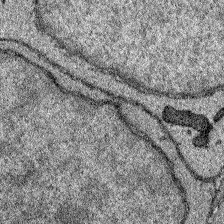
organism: Zebrafish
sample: Larval olfactory bulb